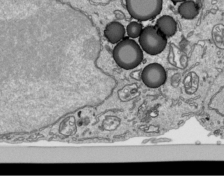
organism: Human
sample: Mitochondria in HCT116 cells